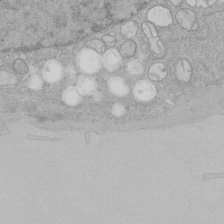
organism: Human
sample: Mitochondria in HCT116 cells